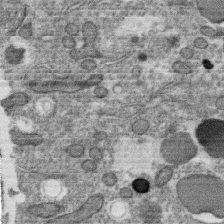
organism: C. elegans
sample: C. elegans oocyte; sperm cells